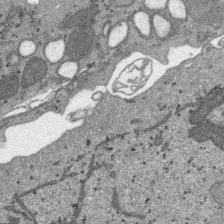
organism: Human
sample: Lung epithelial cells infected with SARS-CoV-2